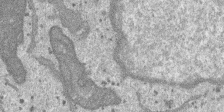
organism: Human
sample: Lung epithelial cells infected with SARS-CoV-2